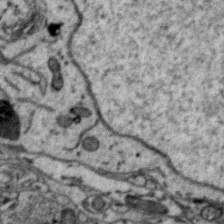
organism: Zebra finch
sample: Brain